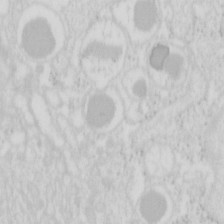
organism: Mouse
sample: Pancreas